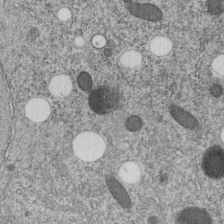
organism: C. elegans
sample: C. elegans embryo early stage